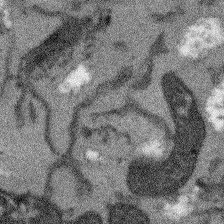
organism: Arabidopsis thaliana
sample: Root tip